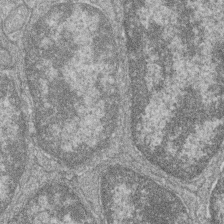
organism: Zebrafish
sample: Cilia; retinal pigment epithelium